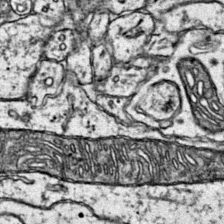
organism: Mouse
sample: Primary visual cortex